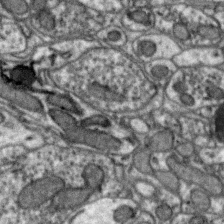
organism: Zebra finch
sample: Brain